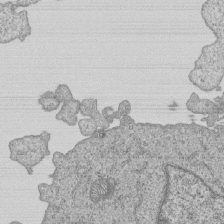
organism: Human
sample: MDA-MB-231 cells